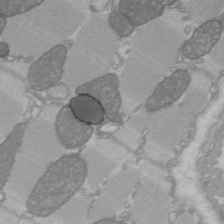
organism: C57BL Mouse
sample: Heart